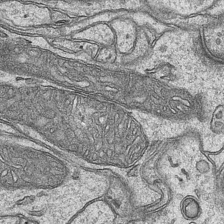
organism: Mouse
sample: CA1 Hippocampus